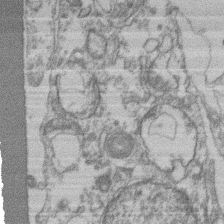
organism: Mouse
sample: T cell stromal cell synapse